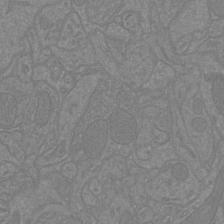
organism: Mouse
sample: Cortical neurons